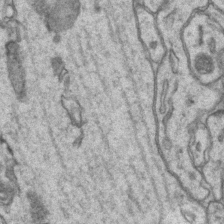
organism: Mouse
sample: CA1 Hippocampus